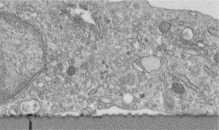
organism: Human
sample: Centriole in fibroblast cells